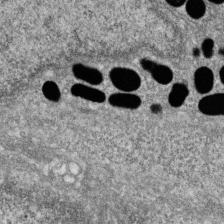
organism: Zebrafish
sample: Cilia; retinal pigment epithelium